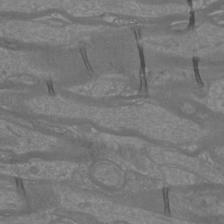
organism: Mouse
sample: Cortical neurons